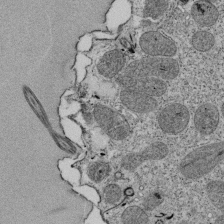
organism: Tetrahymena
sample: Cilia in tetrahymena